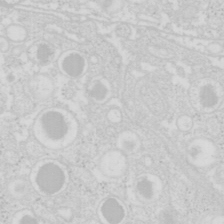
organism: Mouse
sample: Pancreas